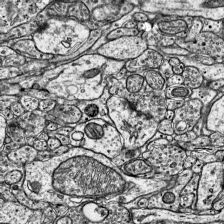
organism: Mouse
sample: Visual Cortex